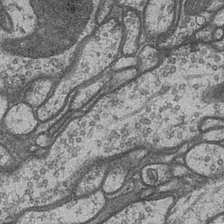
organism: Drosophila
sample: Optic medulla